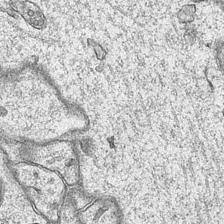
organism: Mouse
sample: CA1 Hippocampus